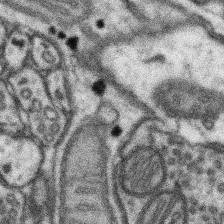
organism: Mouse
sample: Somatosensory cortex neuropil